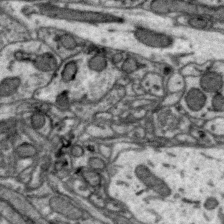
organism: Zebra finch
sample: Brain